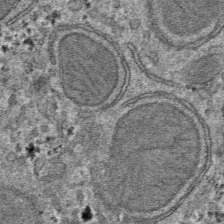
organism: Mouse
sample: Mouse hepatocytes